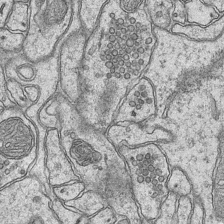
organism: Mouse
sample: CA1 Hippocampus